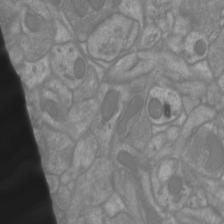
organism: Mouse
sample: Cortical neurons